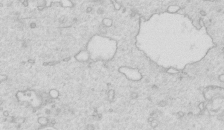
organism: Mouse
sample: Multiciliated cells